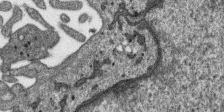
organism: Human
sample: Lung epithelial cells infected with SARS-CoV-2